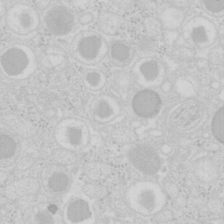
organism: Mouse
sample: Pancreas